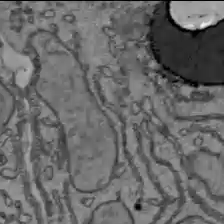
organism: C57BL Mouse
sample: Liver